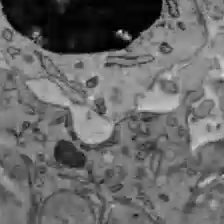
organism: C57BL Mouse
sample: Liver